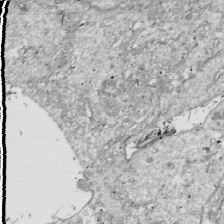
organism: Drosophila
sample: Cell division; meiosis; drosophila spermatocytes